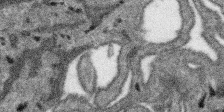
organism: Human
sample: Lung epithelial cells infected with SARS-CoV-2